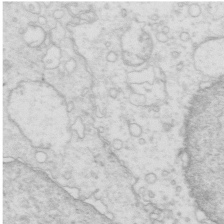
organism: Mouse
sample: Multiciliated cells